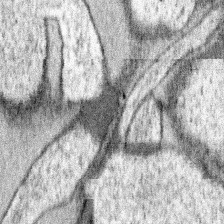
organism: Human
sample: HeLa cells